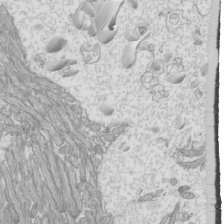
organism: Mouse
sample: Cilia; mouse epididymis